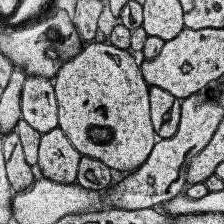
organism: Human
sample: Temporal Lobe